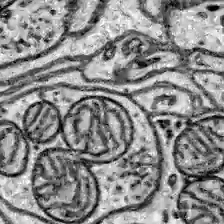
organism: Zebrafish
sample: Brain